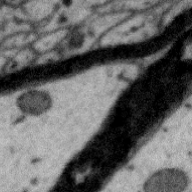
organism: Zebra finch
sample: Brain